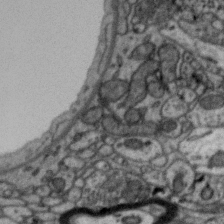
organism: Zebra finch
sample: Brain